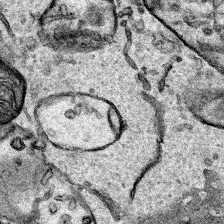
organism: Human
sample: Mitochondria in HCT116 cells